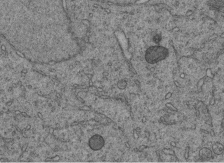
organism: C. elegans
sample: C. elegans embryo early stage